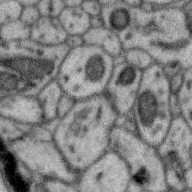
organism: Zebra finch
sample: Brain